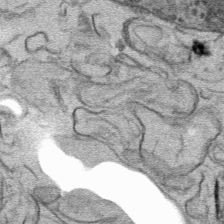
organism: Mouse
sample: Mouse hepatocytes